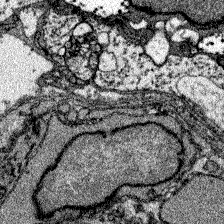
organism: Zebrafish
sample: Larval olfactory bulb